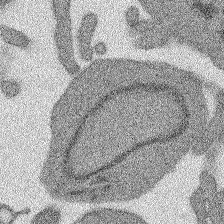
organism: Human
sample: HeLa cells